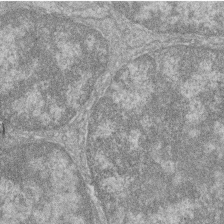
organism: Zebrafish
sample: Cilia; retinal pigment epithelium